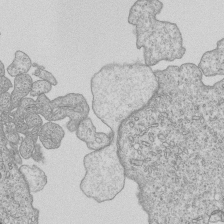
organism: Human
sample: MDA-MB-231 cells